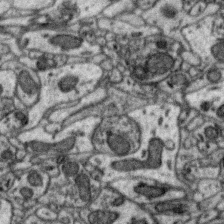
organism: Zebra finch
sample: Brain